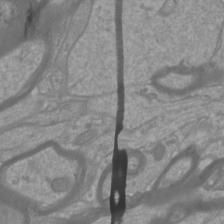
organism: Mouse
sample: Cortical neurons